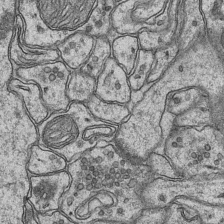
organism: Mouse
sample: CA1 Hippocampus